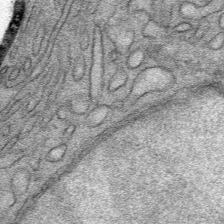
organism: Mouse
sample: Mouse Salivary gland